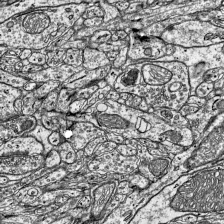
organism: Mouse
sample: Visual Cortex